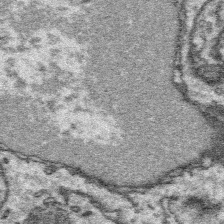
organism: Platynereis dumerilii